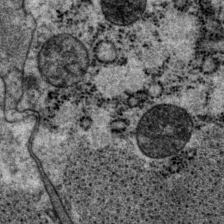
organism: P. pacificus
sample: Pharynx